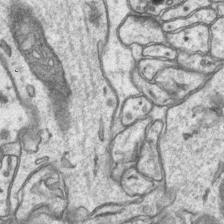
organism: Mouse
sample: CA1 Hippocampus